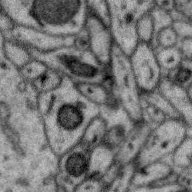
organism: Zebra finch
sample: Brain